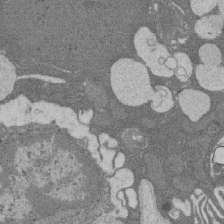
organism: Rat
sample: Salivary granule